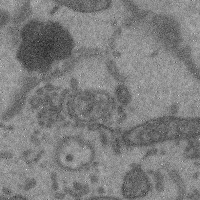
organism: Mouse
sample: Cerebral cortex